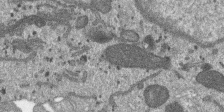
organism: Human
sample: Lung epithelial cells infected with SARS-CoV-2